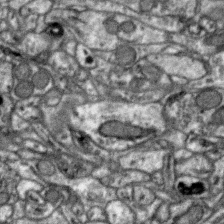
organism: Zebra finch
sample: Brain